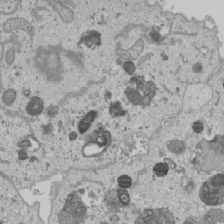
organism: Human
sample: Mitochondria in U2OS cells